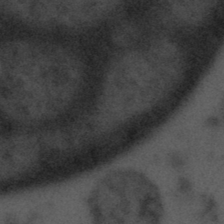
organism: Tuwongella immobilis